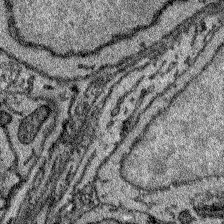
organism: Zebrafish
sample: Larval olfactory bulb